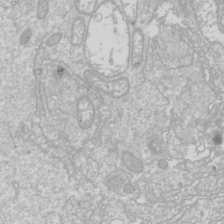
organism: Drosophila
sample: Cell division; meiosis; drosophila spermatocytes